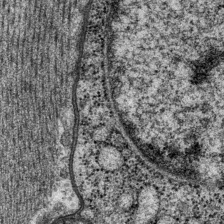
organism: P. pacificus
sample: Pharynx